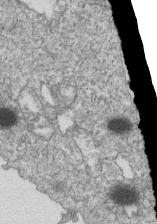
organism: Human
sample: HeLa cell HIV synapse